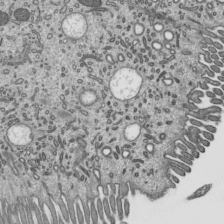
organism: Mouse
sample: Mouse epididymis efferent ductule cilia